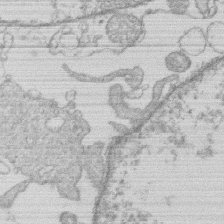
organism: Human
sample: Macrophage cells